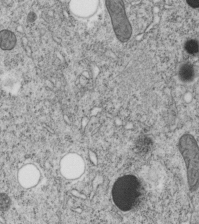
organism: C. elegans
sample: C. elegans embryo early stage